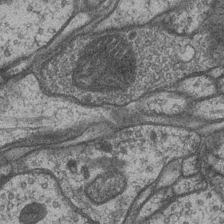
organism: Drosophila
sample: Optic medulla